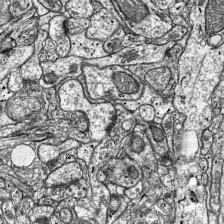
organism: Mouse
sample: Visual Cortex